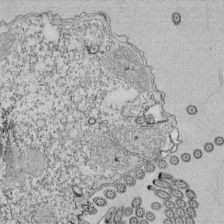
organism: Tetrahymena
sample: Cilia in tetrahymena